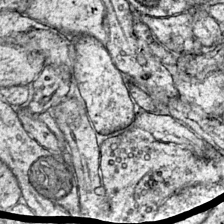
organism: Mouse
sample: Primary visual cortex